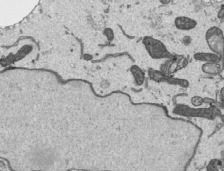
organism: Human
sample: Mitochondria in HCT116 cells